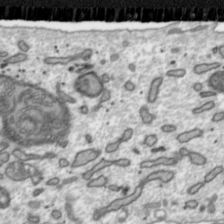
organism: Toxoplasma gondii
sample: Parasites in a vacuole inside a host cell